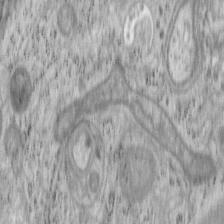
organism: Human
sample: HeLa cells